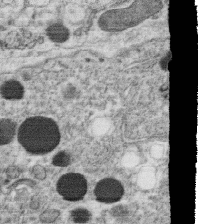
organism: C. elegans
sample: C. elegans oocyte; sperm cells